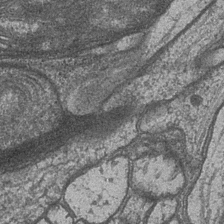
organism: Drosophila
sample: Optic medulla